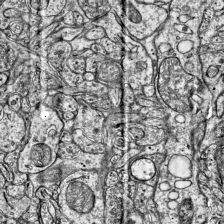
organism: Mouse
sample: Visual Cortex